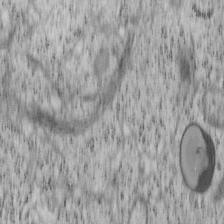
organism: Human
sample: HeLa cells